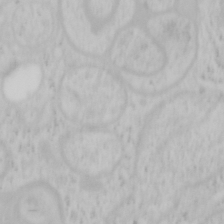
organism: Mouse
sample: OT-I killer T cells with ID8 ovarian cancer cells